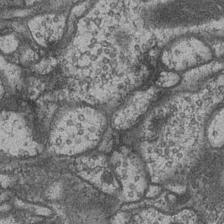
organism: Drosophila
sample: Optic medulla